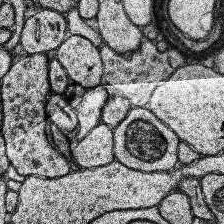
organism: Human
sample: Temporal Lobe